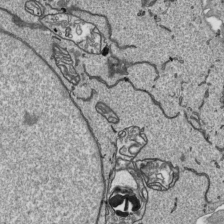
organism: Human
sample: Mitochondria in HCT116 cells